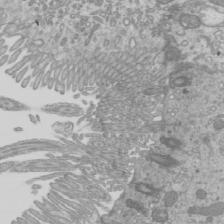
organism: Mouse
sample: Cilia; mouse epididymis